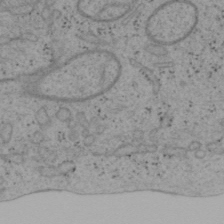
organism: Human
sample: HeLa cells